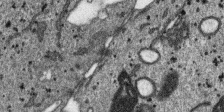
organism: Human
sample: Lung epithelial cells infected with SARS-CoV-2